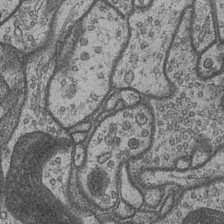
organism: Drosophila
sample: Optic medulla